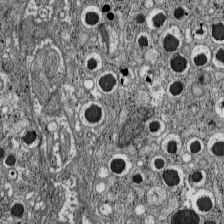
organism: C57BL Mouse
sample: Pancreatic islet